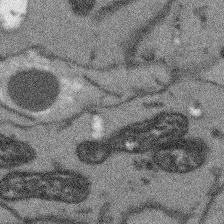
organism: Arabidopsis thaliana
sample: Root tip